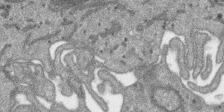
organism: Human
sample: Lung epithelial cells infected with SARS-CoV-2